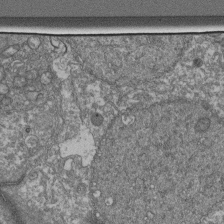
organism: Human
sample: Retinal organoid Rod and Cone cells